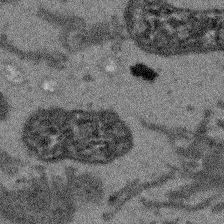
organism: Arabidopsis thaliana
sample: Root tip